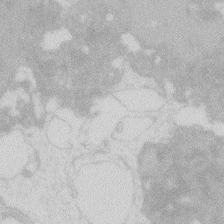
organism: Zebrafish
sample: Macrophage